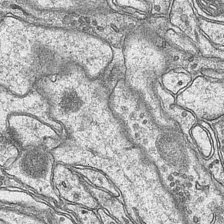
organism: Mouse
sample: CA1 Hippocampus